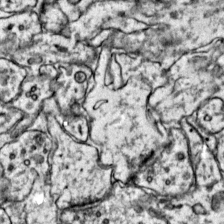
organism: Mouse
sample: Primary visual cortex